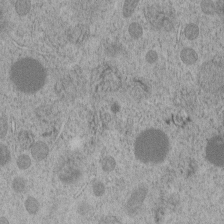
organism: C. elegans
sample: C. elegans embryo early stage